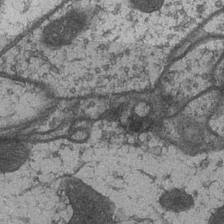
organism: Drosophila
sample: Optic medulla